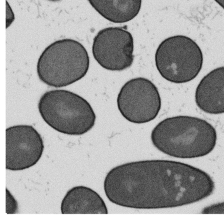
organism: B. subtilis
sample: Bacterial spore